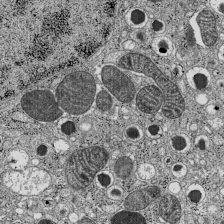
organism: C57BL Mouse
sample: Pancreatic islet